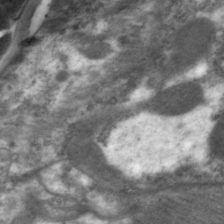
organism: C. elegans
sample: Pharynx